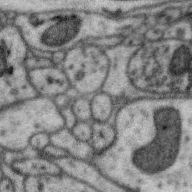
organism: Zebra finch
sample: Brain